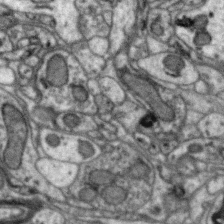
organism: Zebra finch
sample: Brain